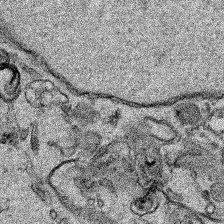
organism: Human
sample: Mitochondria in HCT116 cells